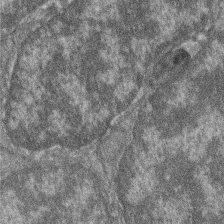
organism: Zebrafish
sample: Cilia; retinal pigment epithelium